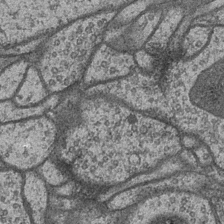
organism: Drosophila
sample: Optic medulla